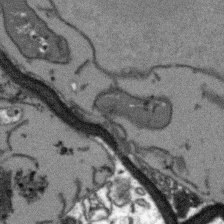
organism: Arabidopsis thaliana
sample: Root tip